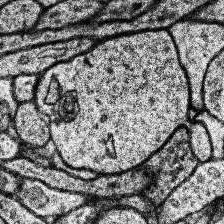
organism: Human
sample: Temporal Lobe